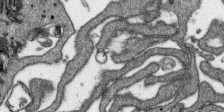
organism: Human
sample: Lung epithelial cells, uninfected (mock) control